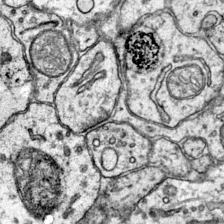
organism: Mouse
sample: Primary visual cortex